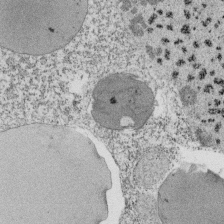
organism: Tetrahymena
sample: Cilia in tetrahymena